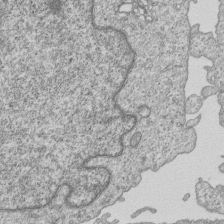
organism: Human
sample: MDA-MB-231 cells